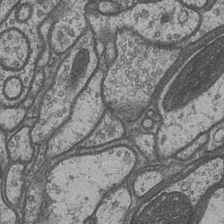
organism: Drosophila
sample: Optic medulla